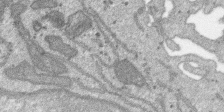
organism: Human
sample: Lung epithelial cells infected with SARS-CoV-2